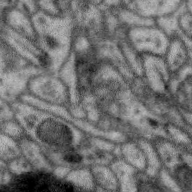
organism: Zebra finch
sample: Brain